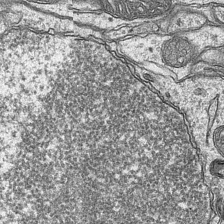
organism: Mouse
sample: CA1 Hippocampus